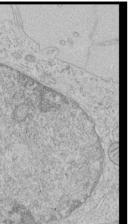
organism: Human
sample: Mitochondria in HCT116 cells